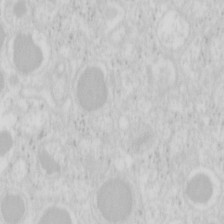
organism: Mouse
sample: Pancreas